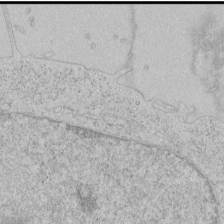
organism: Human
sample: Mitochondria in HCT116 cells